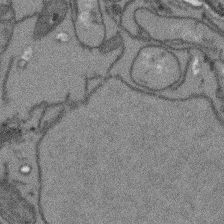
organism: Arabidopsis thaliana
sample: Root tip